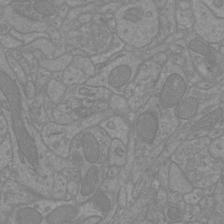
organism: Mouse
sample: Cortical neurons